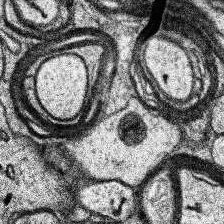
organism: Human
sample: Temporal Lobe